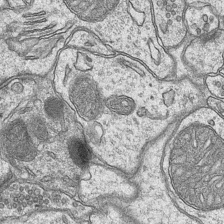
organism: Mouse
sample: CA1 Hippocampus